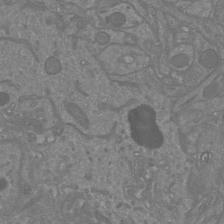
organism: Mouse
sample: Cortical neurons